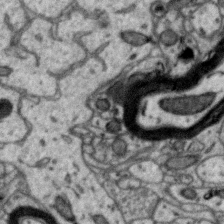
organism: Zebra finch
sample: Brain